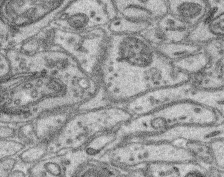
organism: Mouse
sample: Retina